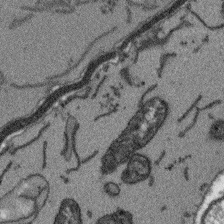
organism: Arabidopsis thaliana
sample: Root tip